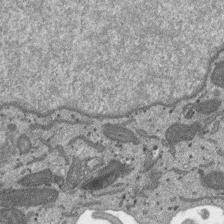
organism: Human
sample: Lung epithelial cells infected with SARS-CoV-2